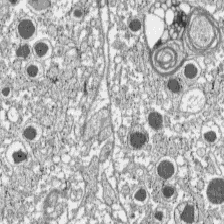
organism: C57BL Mouse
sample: Pancreatic islet